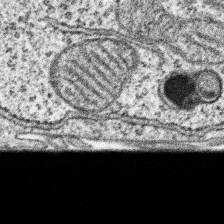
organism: Human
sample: HeLa cells